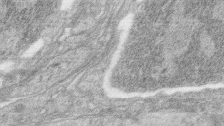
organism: Zebrafish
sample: synaptic ribbons in rod cells and cone cells